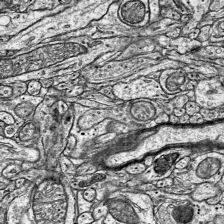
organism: Mouse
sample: Visual Cortex